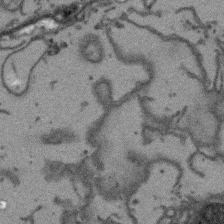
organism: Arabidopsis thaliana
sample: Root tip